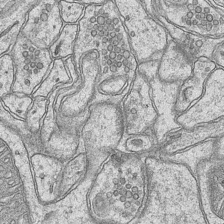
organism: Mouse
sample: CA1 Hippocampus